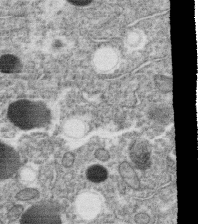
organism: C. elegans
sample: C. elegans oocyte; sperm cells